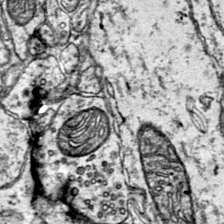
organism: Mouse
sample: Primary visual cortex